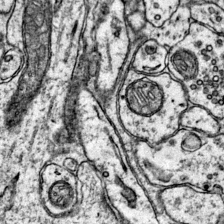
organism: Mouse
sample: Primary visual cortex